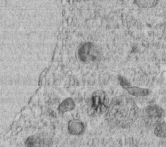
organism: C. elegans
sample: C. elegans embryo early stage